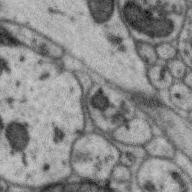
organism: Zebra finch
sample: Brain